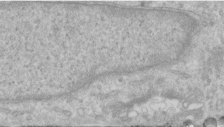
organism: Human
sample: Centriole in RPE cells